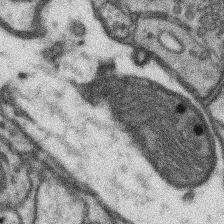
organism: Mouse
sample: Somatosensory cortex neuropil